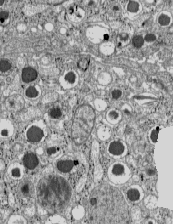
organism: C57BL Mouse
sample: Pancreatic islet